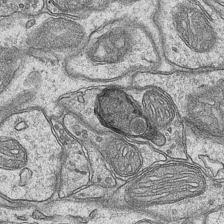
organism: Mouse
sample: CA1 Hippocampus